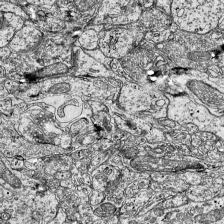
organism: Mouse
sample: Visual Cortex